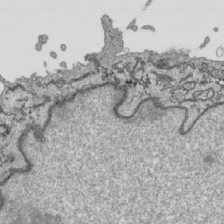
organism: Human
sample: Mitochondria in HCT116 cells